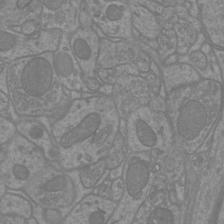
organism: Mouse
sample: Cortical neurons